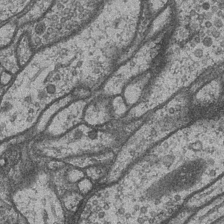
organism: Drosophila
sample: Optic medulla